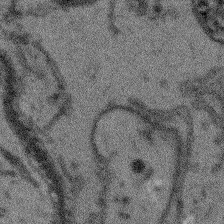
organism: Arabidopsis thaliana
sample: Root tip